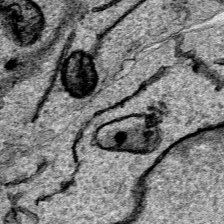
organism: Human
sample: Mitochondria in HCT116 cells